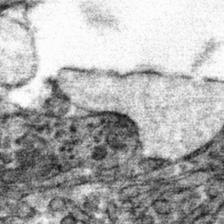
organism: Mouse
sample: Mouse hepatocytes